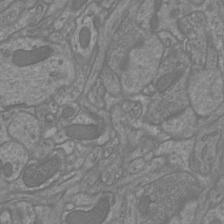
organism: Mouse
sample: Cortical neurons